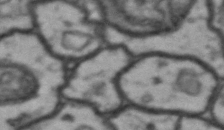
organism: Drosophila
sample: Brain